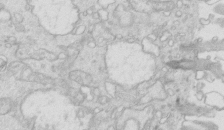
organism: Mouse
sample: Multiciliated cells